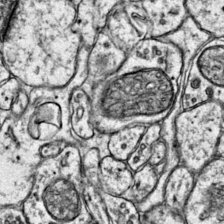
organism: Mouse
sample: Primary visual cortex